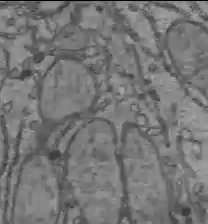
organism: C57BL Mouse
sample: Liver